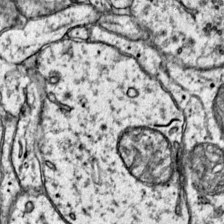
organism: Mouse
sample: Primary visual cortex